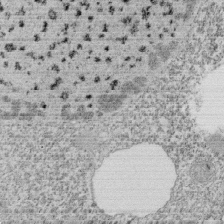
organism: Tetrahymena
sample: Cilia in tetrahymena